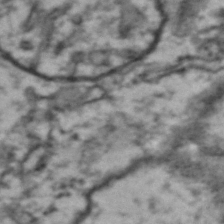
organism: Drosophila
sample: Brain